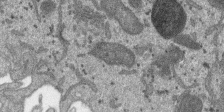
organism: Human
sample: Lung epithelial cells infected with SARS-CoV-2